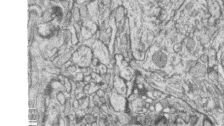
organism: Zebrafish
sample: synaptic ribbons in rod cells and cone cells